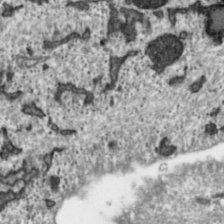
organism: Toxoplasma gondii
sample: Parasites in a vacuole inside a host cell